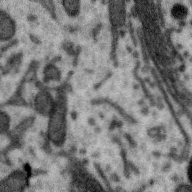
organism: Zebra finch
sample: Brain